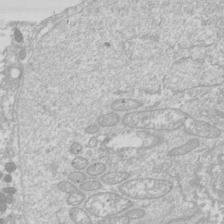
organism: Drosophila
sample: Cell division; meiosis; drosophila spermatocytes